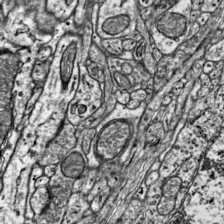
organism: Mouse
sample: Visual Cortex